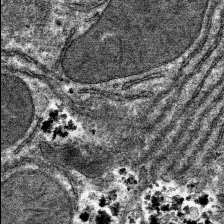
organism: Mouse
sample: Mouse hepatocytes